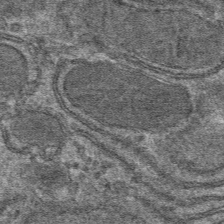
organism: Mouse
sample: Mouse hepatocytes